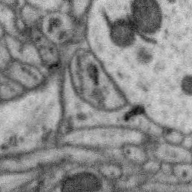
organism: Zebra finch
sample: Brain